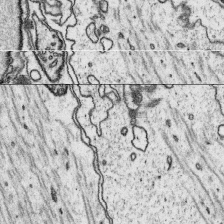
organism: Platynereis dumerilii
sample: Parapodia